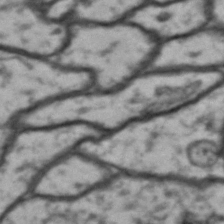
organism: Drosophila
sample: Brain